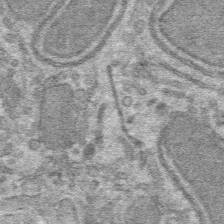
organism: Mouse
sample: Mouse hepatocytes